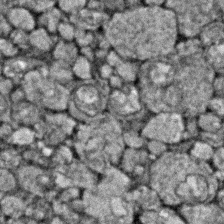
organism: Zebrafish